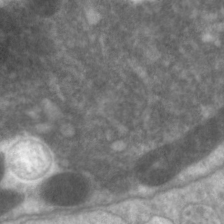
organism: C. elegans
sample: Pharynx